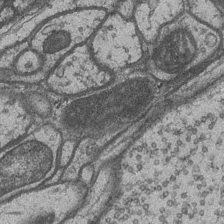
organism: Drosophila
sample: Optic medulla